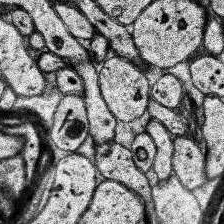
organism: Human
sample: Temporal Lobe